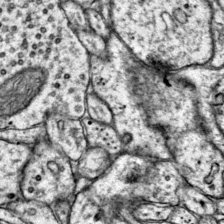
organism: Mouse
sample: Primary visual cortex